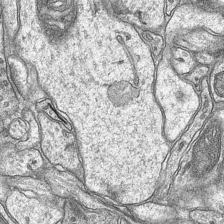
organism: Mouse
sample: CA1 Hippocampus